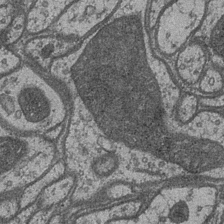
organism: Drosophila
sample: Optic medulla